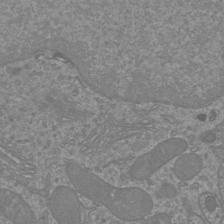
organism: Mouse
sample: Cortical neurons